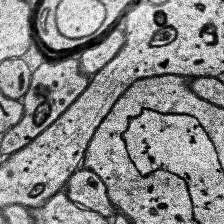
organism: Human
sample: Temporal Lobe